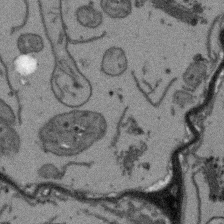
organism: Arabidopsis thaliana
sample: Root tip